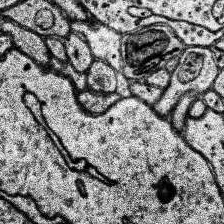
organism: Human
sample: Temporal Lobe